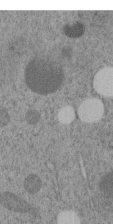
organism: C. elegans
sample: C. elegans embryo early stage